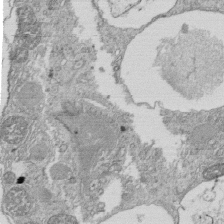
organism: Tetrahymena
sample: Cilia in tetrahymena